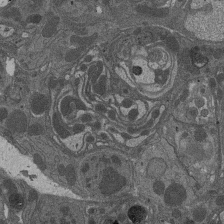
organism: Drosophila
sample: Antenna